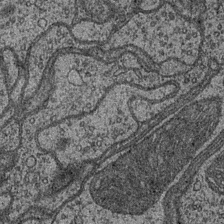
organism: Drosophila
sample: Optic medulla